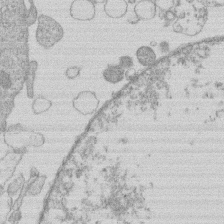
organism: Human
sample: Macrophage cells